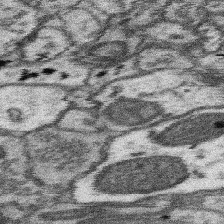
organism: Mouse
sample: Somatosensory cortex neuropil